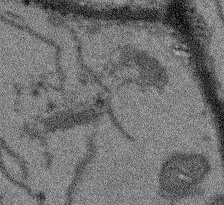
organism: Arabidopsis thaliana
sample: Root tip